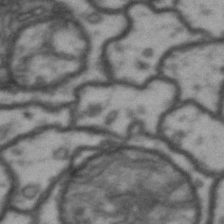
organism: Drosophila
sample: Brain